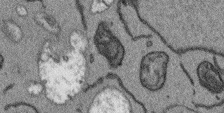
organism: Arabidopsis thaliana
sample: Root tip